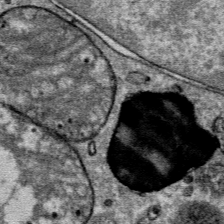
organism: Mouse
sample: Mouse Salivary gland